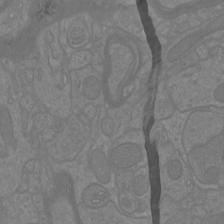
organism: Mouse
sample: Cortical neurons